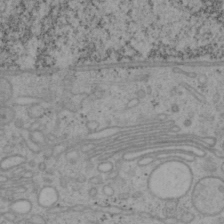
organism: Human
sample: HeLa cells